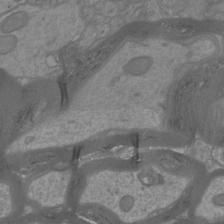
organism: Mouse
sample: Cortical neurons